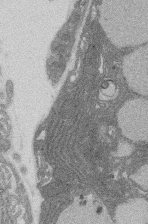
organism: Rat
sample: Salivary granule